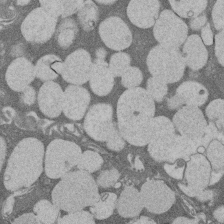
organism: Rat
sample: Salivary granule